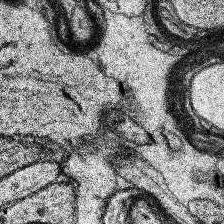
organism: Human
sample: Temporal Lobe